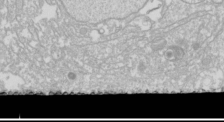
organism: Drosophila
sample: Cell division; meiosis; drosophila spermatocytes